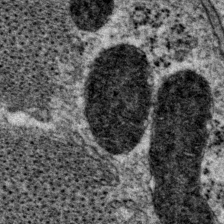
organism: P. pacificus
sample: Pharynx